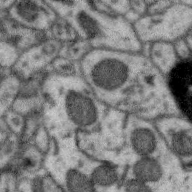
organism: Zebra finch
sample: Brain